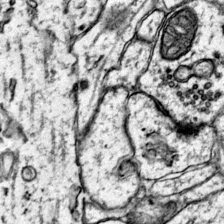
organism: Mouse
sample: Primary visual cortex